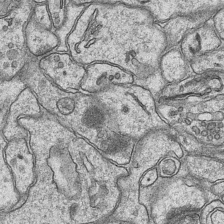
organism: Mouse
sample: CA1 Hippocampus